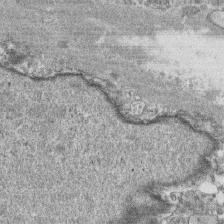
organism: Human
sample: CRL-1474